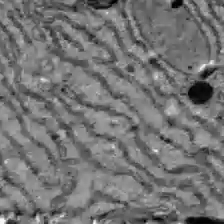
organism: C57BL Mouse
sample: Liver